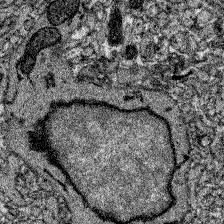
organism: Zebrafish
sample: Larval olfactory bulb